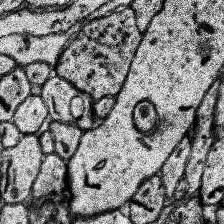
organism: Human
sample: Temporal Lobe